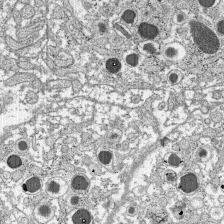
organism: C57BL Mouse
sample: Pancreatic islet